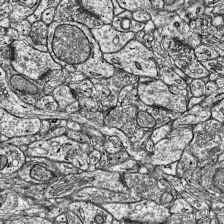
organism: Mouse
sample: Visual Cortex